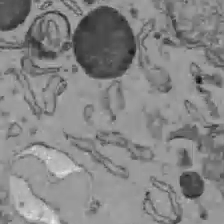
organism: C57BL Mouse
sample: Liver